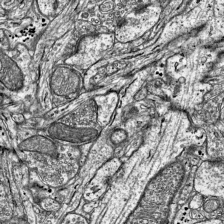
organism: Mouse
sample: Visual Cortex